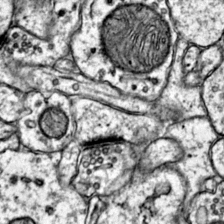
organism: Mouse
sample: Primary visual cortex